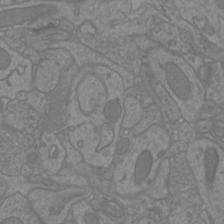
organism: Mouse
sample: Cortical neurons